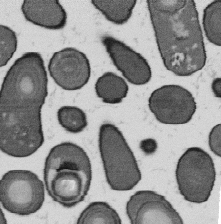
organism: B. subtilis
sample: Bacterial spore